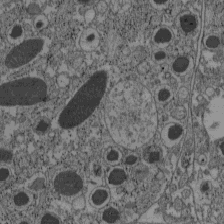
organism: C57BL Mouse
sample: Pancreatic islet